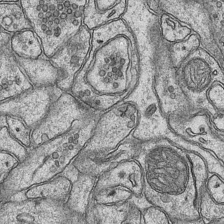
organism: Mouse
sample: CA1 Hippocampus